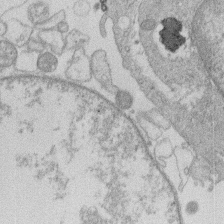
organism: Human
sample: Macrophage cells